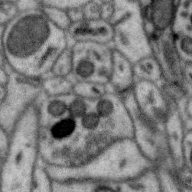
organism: Zebra finch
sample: Brain